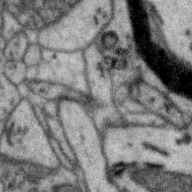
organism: Zebra finch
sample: Brain